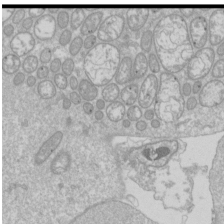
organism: Drosophila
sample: Cell division; meiosis; drosophila spermatocytes